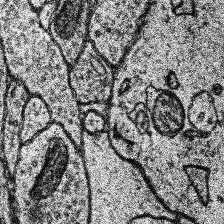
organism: Human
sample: Temporal Lobe